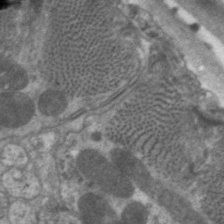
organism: C. elegans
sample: Pharynx